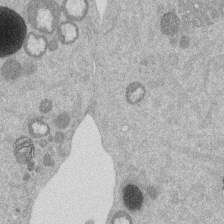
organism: Mouse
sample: Dividing mouse embryo 1 cell stage